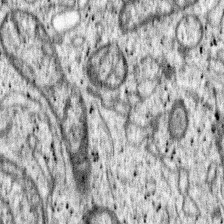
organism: Human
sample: HeLa cells